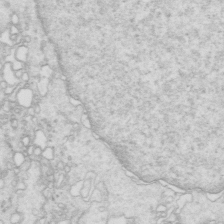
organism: Mouse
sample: Multiciliated cells